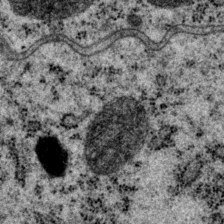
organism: P. pacificus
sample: Pharynx